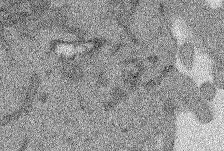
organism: Human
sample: HeLa cells